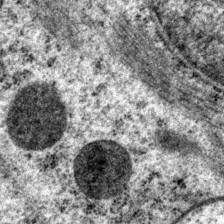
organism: P. pacificus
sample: Pharynx